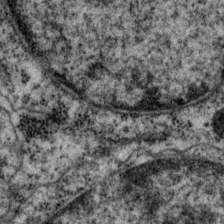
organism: P. pacificus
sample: Pharynx